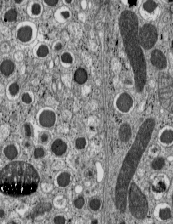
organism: C57BL Mouse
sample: Pancreatic islet